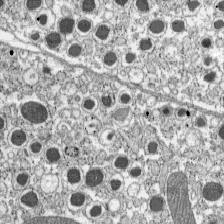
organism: C57BL Mouse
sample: Pancreatic islet